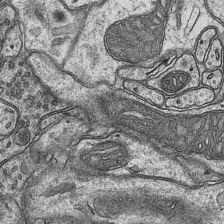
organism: Mouse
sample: CA1 Hippocampus